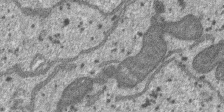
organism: Human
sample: Lung epithelial cells infected with SARS-CoV-2